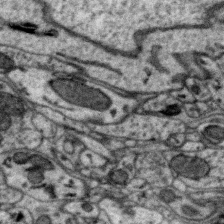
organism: Zebra finch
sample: Brain